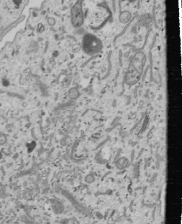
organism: Human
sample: Mitochondria in U2OS cells